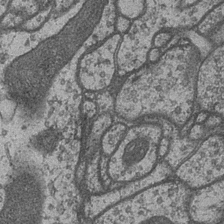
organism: Drosophila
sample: Optic medulla